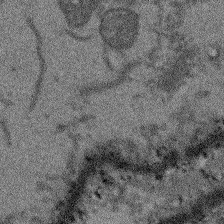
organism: Arabidopsis thaliana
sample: Root tip